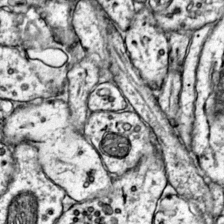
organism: Mouse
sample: Primary visual cortex